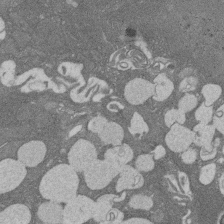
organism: Rat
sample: Salivary granule